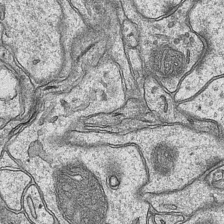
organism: Mouse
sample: CA1 Hippocampus